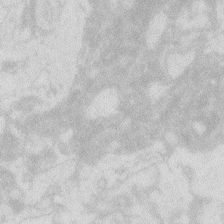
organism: Zebrafish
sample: Macrophage